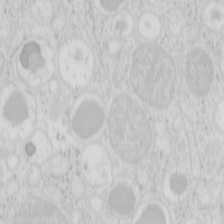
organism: Mouse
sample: Pancreas